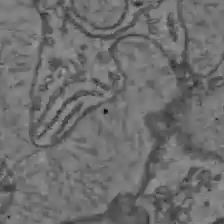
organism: C57BL Mouse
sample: Liver